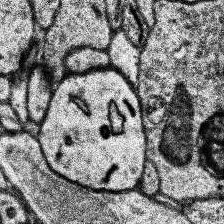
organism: Human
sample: Temporal Lobe